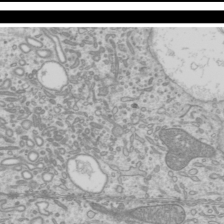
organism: Mouse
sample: Cilia; mouse epididymis